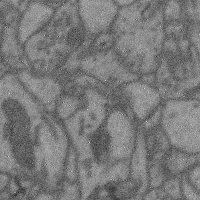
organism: Mouse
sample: Cerebral cortex